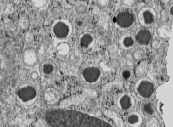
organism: C57BL Mouse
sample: Pancreatic islet